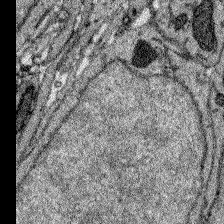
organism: Zebrafish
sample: Larval olfactory bulb